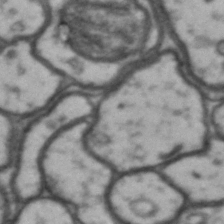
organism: Drosophila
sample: Brain